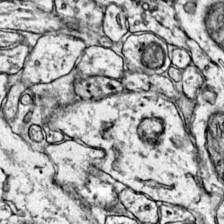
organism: Mouse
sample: Primary visual cortex